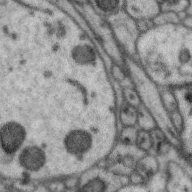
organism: Zebra finch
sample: Brain